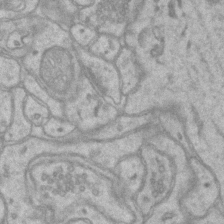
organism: Mouse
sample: CA1 Hippocampus